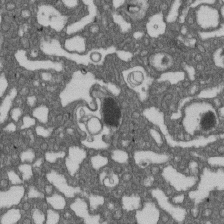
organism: Drosophila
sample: Nephrocyte